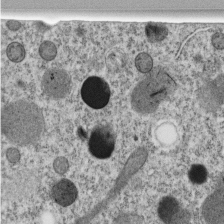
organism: C. elegans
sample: C. elegans embryo early stage